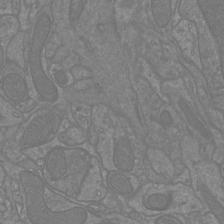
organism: Mouse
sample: Cortical neurons